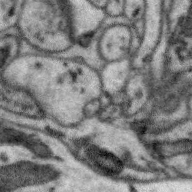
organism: Zebra finch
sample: Brain